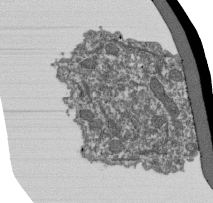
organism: Dictyostelium discoideum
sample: Dictyostelium multivesicular bodies